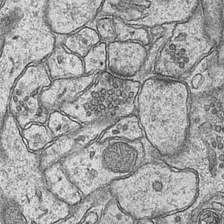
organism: Mouse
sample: CA1 Hippocampus